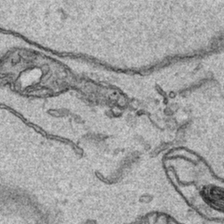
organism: Human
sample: Mitochondria in HCT116 cells